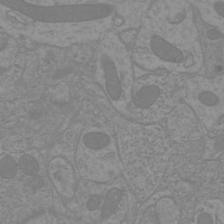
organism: Mouse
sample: Cortical neurons